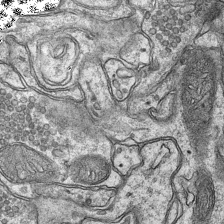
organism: Mouse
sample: CA1 Hippocampus